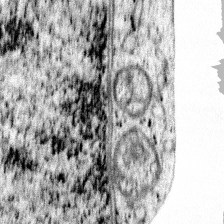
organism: Human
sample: HeLa cells